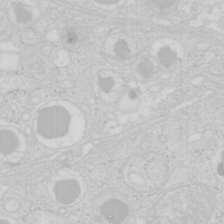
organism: Mouse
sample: Pancreas